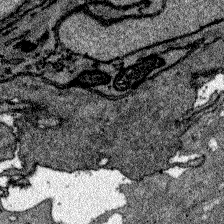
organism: Zebrafish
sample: Larval olfactory bulb